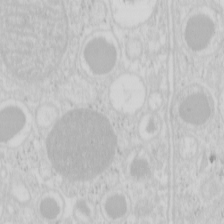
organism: Mouse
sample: Pancreas